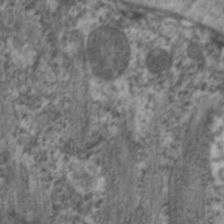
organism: C. elegans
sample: Pharynx